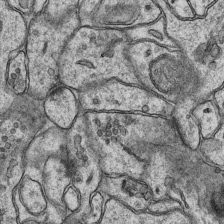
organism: Mouse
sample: CA1 Hippocampus